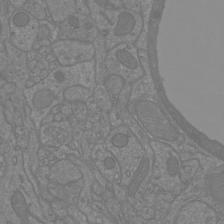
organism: Mouse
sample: Cortical neurons